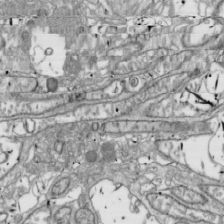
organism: Drosophila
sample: Cell division; meiosis; drosophila spermatocytes